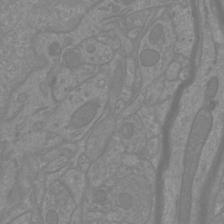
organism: Mouse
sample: Cortical neurons